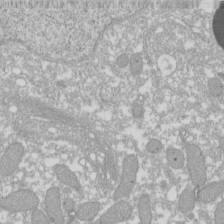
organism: Xenopus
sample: Cilia; centrioles in frog embryo cells